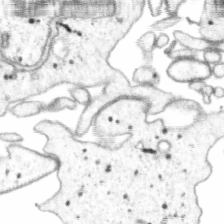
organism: Human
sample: HeLa cells